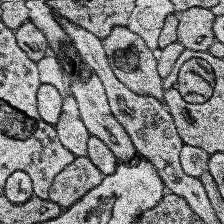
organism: Human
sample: Temporal Lobe